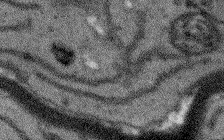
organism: Arabidopsis thaliana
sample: Root tip